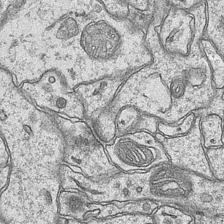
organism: Mouse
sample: CA1 Hippocampus